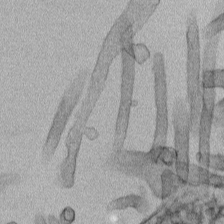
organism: Human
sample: Mitochondria in HCT116 cells